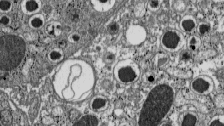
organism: C57BL Mouse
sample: Pancreatic islet